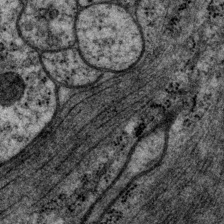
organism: P. pacificus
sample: Pharynx